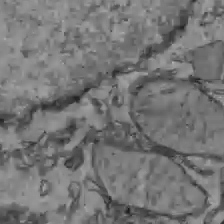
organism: C57BL Mouse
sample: Liver